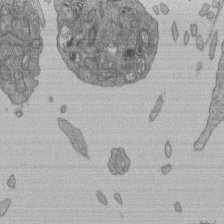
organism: Human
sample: Retinal organoid Rod and Cone cells